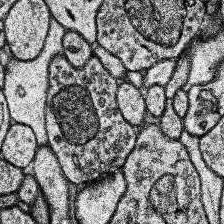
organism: Human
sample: Temporal Lobe